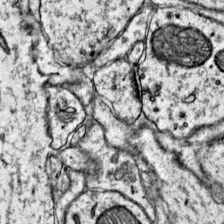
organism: Mouse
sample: Primary visual cortex